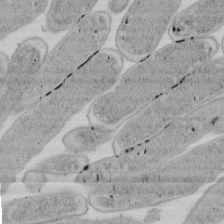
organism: E. coli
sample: Bacterial nucleoid